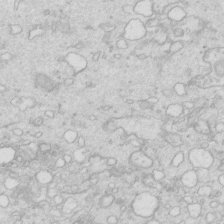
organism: Mouse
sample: Multiciliated cells